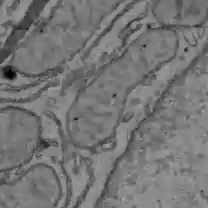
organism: C57BL Mouse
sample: Liver